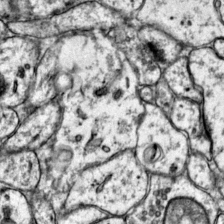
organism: Mouse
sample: Primary visual cortex